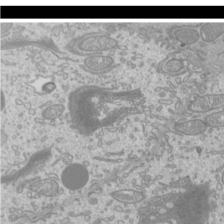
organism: Mouse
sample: Cilia; mouse epididymis